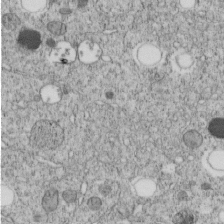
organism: C. elegans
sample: C. elegans embryo early stage